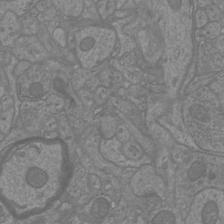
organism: Mouse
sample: Cortical neurons